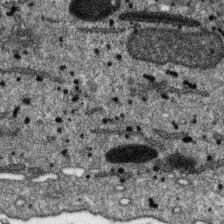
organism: Human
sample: Lung epithelial cells infected with SARS-CoV-2